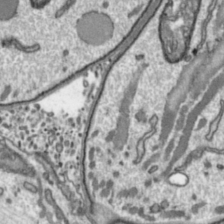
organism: Toxoplasma gondii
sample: Parasites in a vacuole inside a host cell